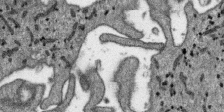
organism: Human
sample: Lung epithelial cells, uninfected (mock) control